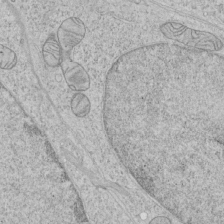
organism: Human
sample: Mitochondria in HCT116 cells